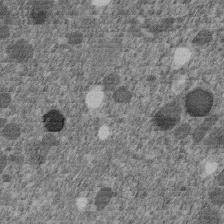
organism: C. elegans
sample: C. elegans embryo early stage